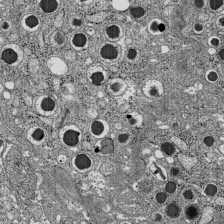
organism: C57BL Mouse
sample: Pancreatic islet